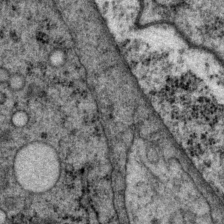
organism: P. pacificus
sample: Pharynx